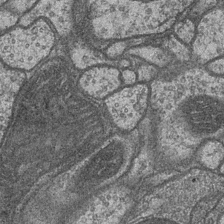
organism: Drosophila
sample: Optic medulla